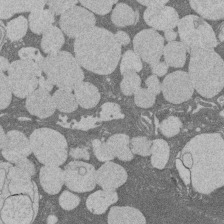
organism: Rat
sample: Salivary granule